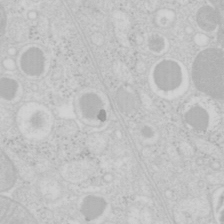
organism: Mouse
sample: Pancreas